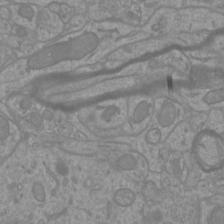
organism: Mouse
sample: Cortical neurons